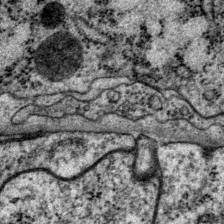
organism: P. pacificus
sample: Pharynx